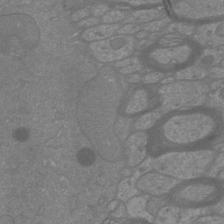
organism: Mouse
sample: Cortical neurons